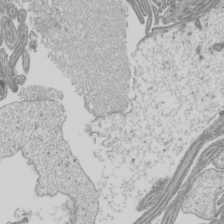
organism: Mouse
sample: Cilia; mouse epididymis